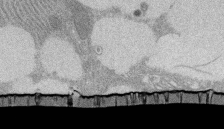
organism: Rat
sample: Salivary granule